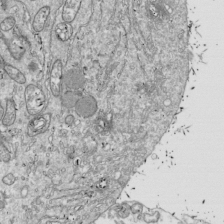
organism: Drosophila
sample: Cell division; meiosis; drosophila spermatocytes